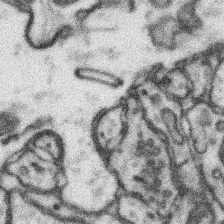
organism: Mouse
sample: Somatosensory cortex neuropil